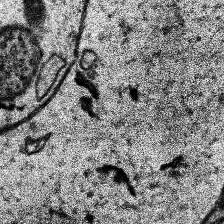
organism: Human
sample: Temporal Lobe